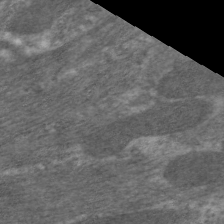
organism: C. elegans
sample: Pharynx